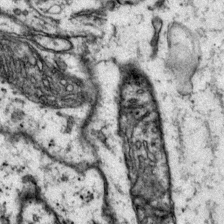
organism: Mouse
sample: Primary visual cortex